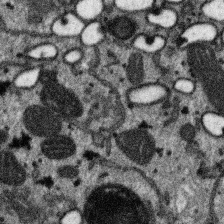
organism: Human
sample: Lung epithelial cells infected with SARS-CoV-2